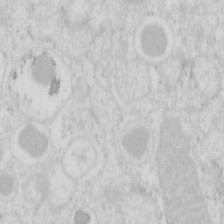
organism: Mouse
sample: Pancreas